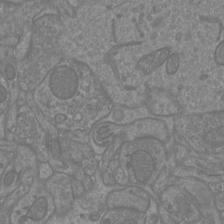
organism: Mouse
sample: Cortical neurons